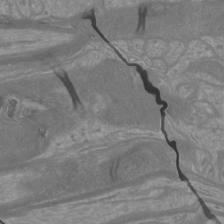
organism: Mouse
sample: Cortical neurons